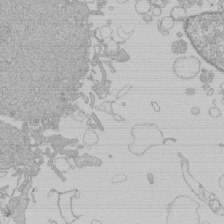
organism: Human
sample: Macrophage cells